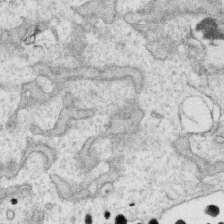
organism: Human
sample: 1205lu cells